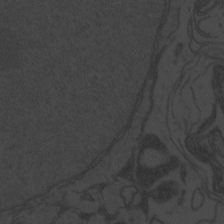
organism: Zebrafish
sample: Macrophage infected with Toxoplasma gondii